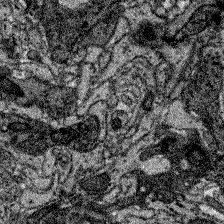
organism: Zebrafish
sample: Larval olfactory bulb